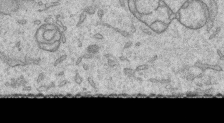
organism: Human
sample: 1205lu cells